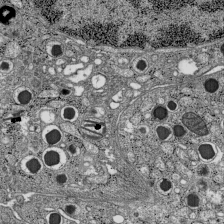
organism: C57BL Mouse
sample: Pancreatic islet